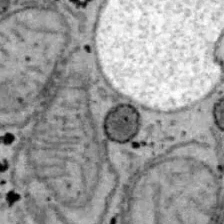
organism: Mouse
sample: Liver from an obese (ob/ob) mouse